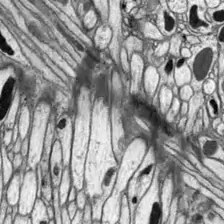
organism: Drosophila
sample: Optic lobe